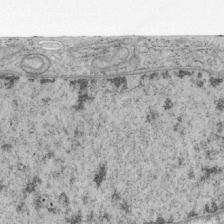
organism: Human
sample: HeLa cells